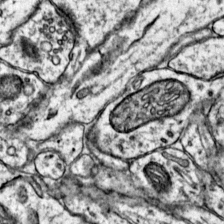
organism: Mouse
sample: Primary visual cortex